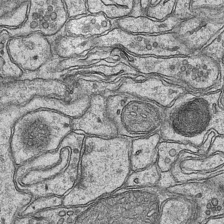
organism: Mouse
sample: CA1 Hippocampus